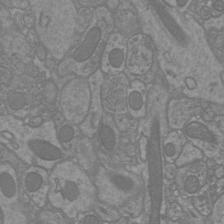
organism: Mouse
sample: Cortical neurons